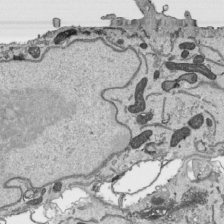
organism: Human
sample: Mitochondria in HCT116 cells